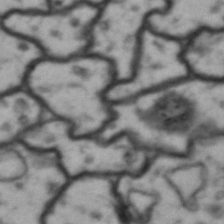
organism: Drosophila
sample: Brain